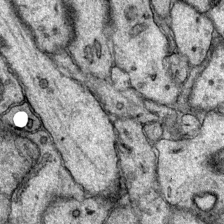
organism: Mouse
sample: Primary visual cortex